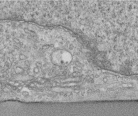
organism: Human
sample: Centriole in RPE cells